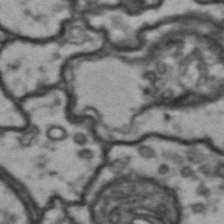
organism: Drosophila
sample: Brain